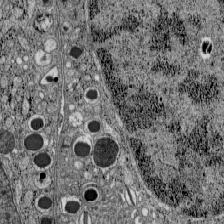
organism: C57BL Mouse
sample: Pancreatic islet